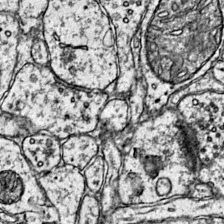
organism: Mouse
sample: Primary visual cortex